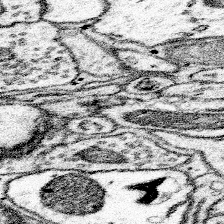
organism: Mouse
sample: Somatosensory cortex neuropil